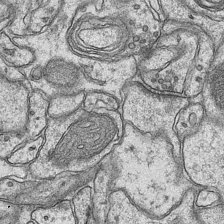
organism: Mouse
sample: CA1 Hippocampus